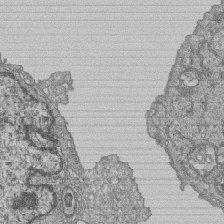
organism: Human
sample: MDA-MB-231 cells